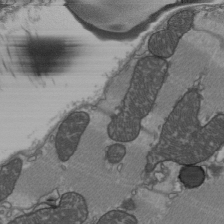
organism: C57BL Mouse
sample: Heart